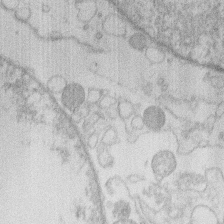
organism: Human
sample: Macrophage cells